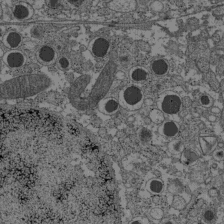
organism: C57BL Mouse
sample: Pancreatic islet